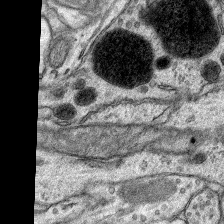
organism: Rat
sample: Hippocampus